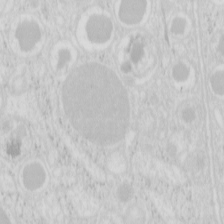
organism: Mouse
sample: Pancreas